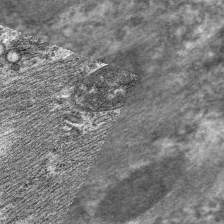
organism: C. elegans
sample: Pharynx